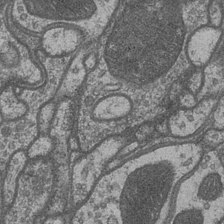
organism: Drosophila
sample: Optic medulla